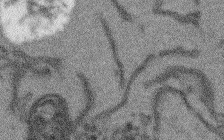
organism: Arabidopsis thaliana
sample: Root tip